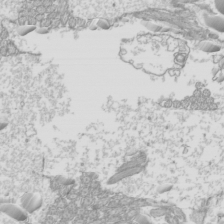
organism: Mouse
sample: Cilia; mouse epididymis